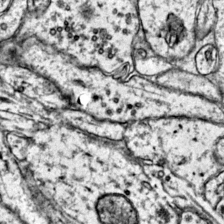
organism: Mouse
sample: Primary visual cortex